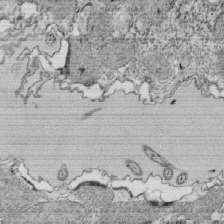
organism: Tetrahymena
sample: Cilia in tetrahymena